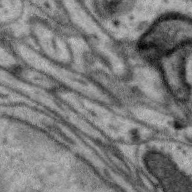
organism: Zebra finch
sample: Brain